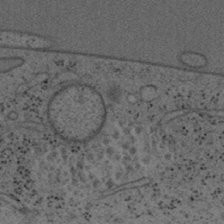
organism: Human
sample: HeLa cells